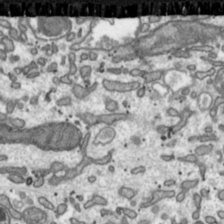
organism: Toxoplasma gondii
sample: Parasites in a vacuole inside a host cell